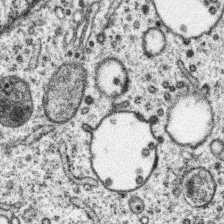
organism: Human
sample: HeLa cells